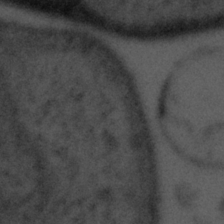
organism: Tuwongella immobilis